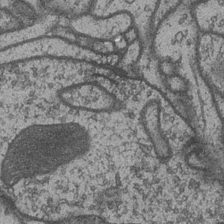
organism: Drosophila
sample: Optic medulla